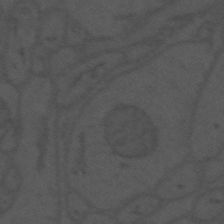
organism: Mouse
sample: Suprachiasmatic nucleus